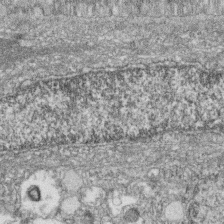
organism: Zebrafish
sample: Cilia; retinal pigment epithelium